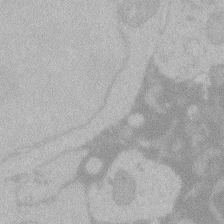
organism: Zebrafish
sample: Macrophage infected with Toxoplasma gondii